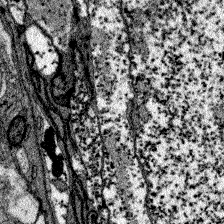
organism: Zebrafish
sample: Larval olfactory bulb